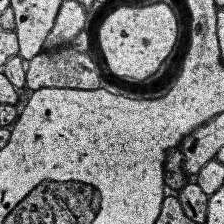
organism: Human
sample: Temporal Lobe